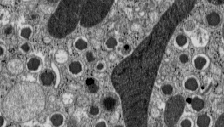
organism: C57BL Mouse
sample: Pancreatic islet